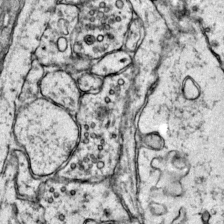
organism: Mouse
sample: Primary visual cortex